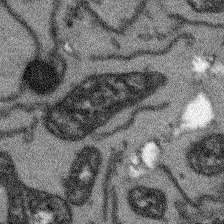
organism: Arabidopsis thaliana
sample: Root tip